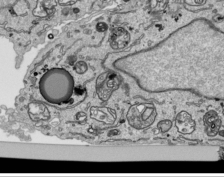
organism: Human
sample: Mitochondria in HCT116 cells